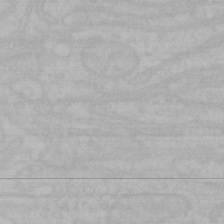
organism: Mouse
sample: Choroid plexus